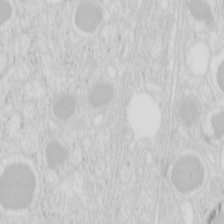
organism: Mouse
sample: Pancreas